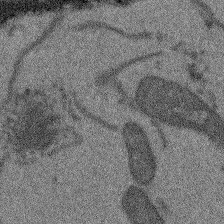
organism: Arabidopsis thaliana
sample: Root tip